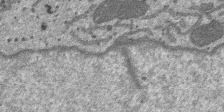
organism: Human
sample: Lung epithelial cells infected with SARS-CoV-2